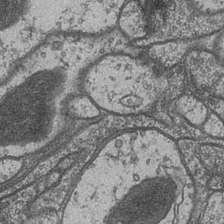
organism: Drosophila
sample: Optic medulla